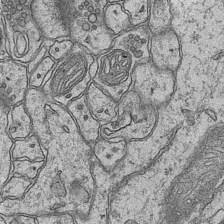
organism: Mouse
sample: CA1 Hippocampus